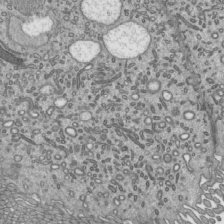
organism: Mouse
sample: Mouse epididymis efferent ductule cilia